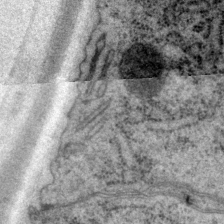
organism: P. pacificus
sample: Pharynx